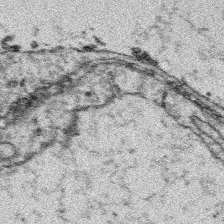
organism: Platynereis dumerilii